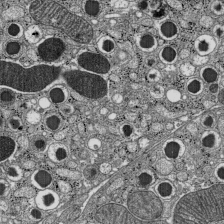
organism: C57BL Mouse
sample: Pancreatic islet